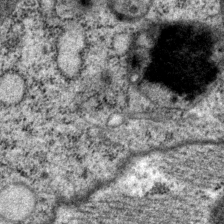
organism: P. pacificus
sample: Pharynx